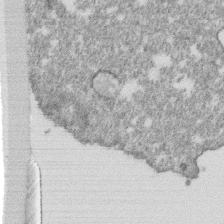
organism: African green monkey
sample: Vero E6 cells infected with SARS-CoV-2